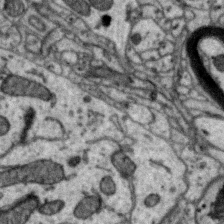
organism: Zebra finch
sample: Brain